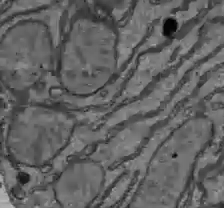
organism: C57BL Mouse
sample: Liver